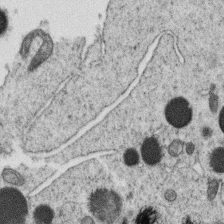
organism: C. elegans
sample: C. elegans oocyte; sperm cells